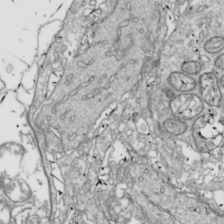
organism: Drosophila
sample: Cell division; meiosis; drosophila spermatocytes